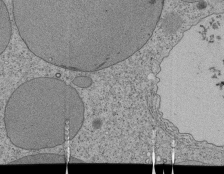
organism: Tetrahymena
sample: Cilia in tetrahymena